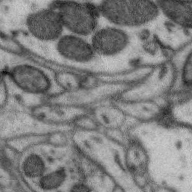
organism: Zebra finch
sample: Brain